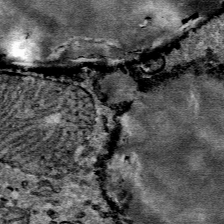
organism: Mouse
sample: Mouse Salivary gland